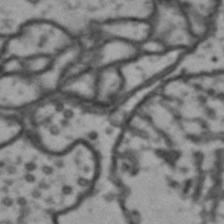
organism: Drosophila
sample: Brain